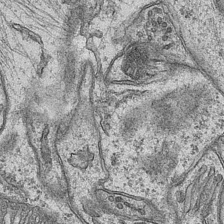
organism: Mouse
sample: CA1 Hippocampus